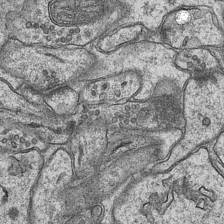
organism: Mouse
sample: CA1 Hippocampus